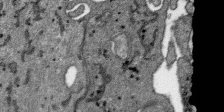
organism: Human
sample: Lung epithelial cells, uninfected (mock) control